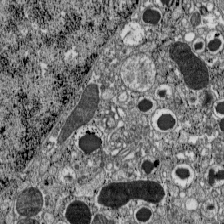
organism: C57BL Mouse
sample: Pancreatic islet